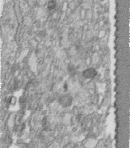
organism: Human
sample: Centriole in fibroblast cells